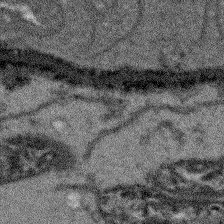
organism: Arabidopsis thaliana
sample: Root tip